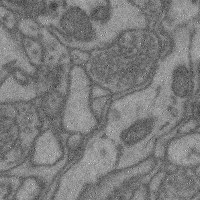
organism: Mouse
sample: Cerebral cortex